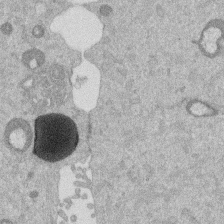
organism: Mouse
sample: Dividing mouse embryo 1 cell stage